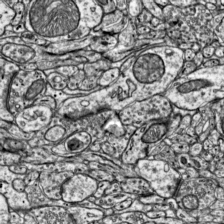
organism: Mouse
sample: Visual Cortex